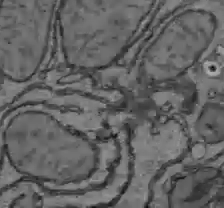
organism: C57BL Mouse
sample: Liver